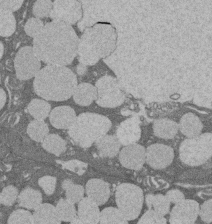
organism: Rat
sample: Salivary granule